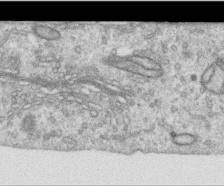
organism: Human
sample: Centriole in RPE cells